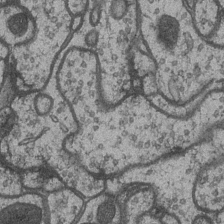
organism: Drosophila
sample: Optic medulla